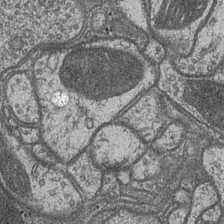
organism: Drosophila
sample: Optic medulla